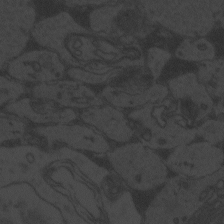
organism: Zebrafish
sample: Macrophage infected with Toxoplasma gondii